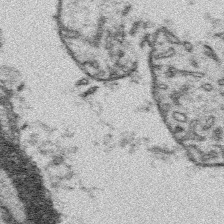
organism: Platynereis dumerilii